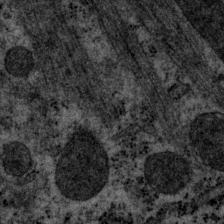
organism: P. pacificus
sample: Pharynx